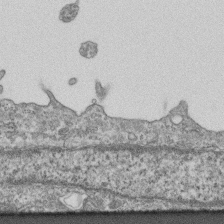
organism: Mouse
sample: Centriole in ependymal cells